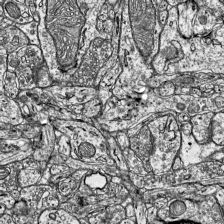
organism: Mouse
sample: Visual Cortex